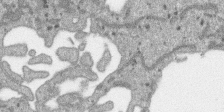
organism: Human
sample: Lung epithelial cells infected with SARS-CoV-2